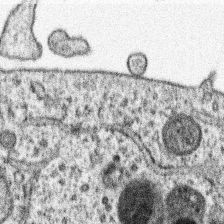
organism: Human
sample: HeLa cells